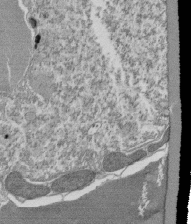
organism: Tetrahymena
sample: Cilia in tetrahymena